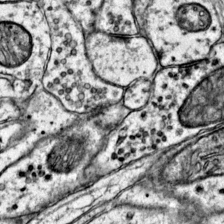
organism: Mouse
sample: Primary visual cortex